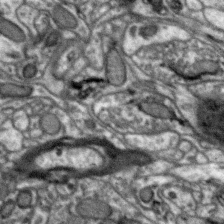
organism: Zebra finch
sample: Brain